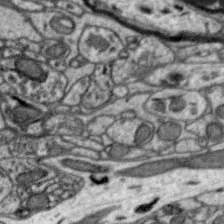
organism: Zebra finch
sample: Brain